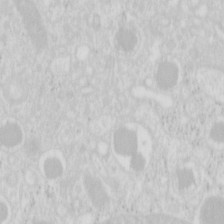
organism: Mouse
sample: Pancreas